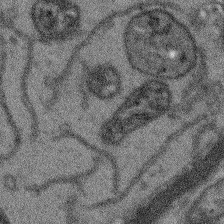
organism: Arabidopsis thaliana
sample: Root tip